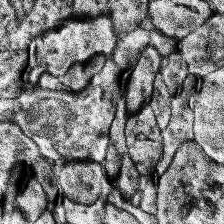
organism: Human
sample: Temporal Lobe